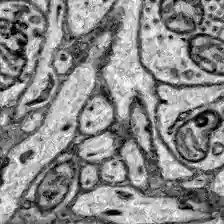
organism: Zebrafish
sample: Brain